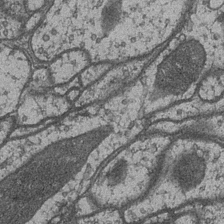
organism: Drosophila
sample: Optic medulla